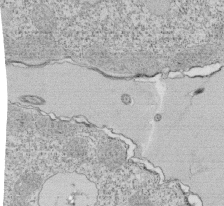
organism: Tetrahymena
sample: Cilia in tetrahymena